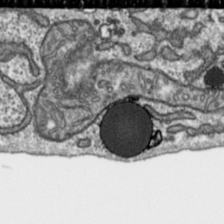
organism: Toxoplasma gondii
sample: Parasites in a vacuole inside a host cell